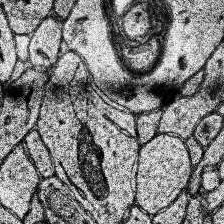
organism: Human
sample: Temporal Lobe